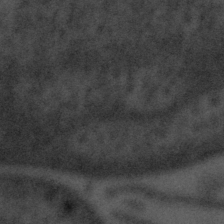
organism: Tuwongella immobilis